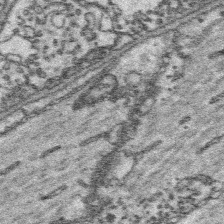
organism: Platynereis dumerilii